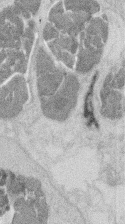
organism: Mouse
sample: T cell stromal cell synapse